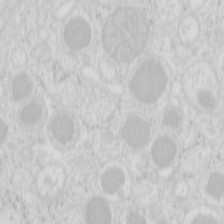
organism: Mouse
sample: Pancreas